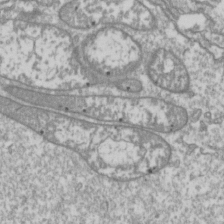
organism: Drosophila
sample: Cell division; meiosis; drosophila spermatocytes